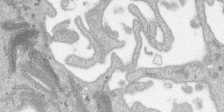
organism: Human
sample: Lung epithelial cells infected with SARS-CoV-2